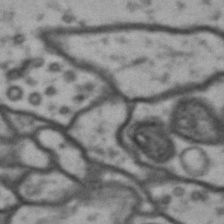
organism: Drosophila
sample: Brain